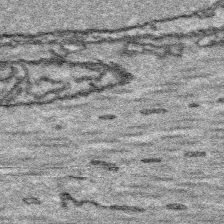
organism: Platynereis dumerilii